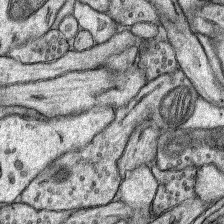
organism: Rat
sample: Hippocampus